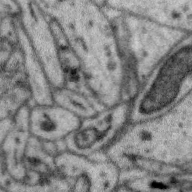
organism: Zebra finch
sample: Brain